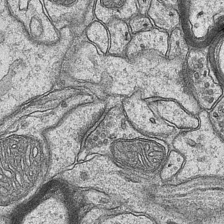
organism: Mouse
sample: CA1 Hippocampus